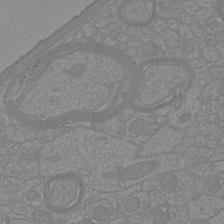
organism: Mouse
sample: Cortical neurons